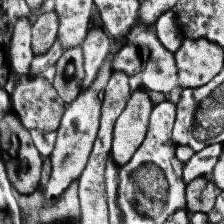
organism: Human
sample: Temporal Lobe